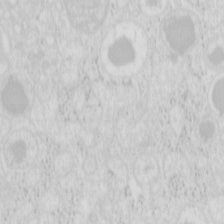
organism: Mouse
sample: Pancreas